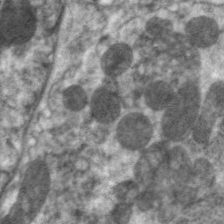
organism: C. elegans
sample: Pharynx